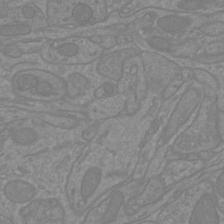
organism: Mouse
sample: Cortical neurons